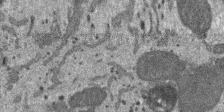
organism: Human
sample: Lung epithelial cells infected with SARS-CoV-2